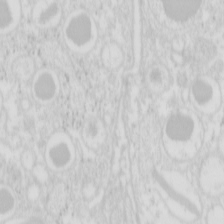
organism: Mouse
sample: Pancreas